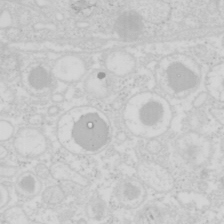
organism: Mouse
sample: Pancreas